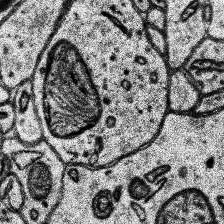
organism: Human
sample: Temporal Lobe